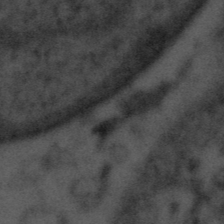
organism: Tuwongella immobilis